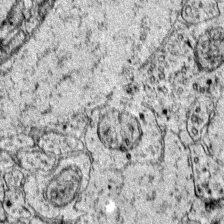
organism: Mouse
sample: Primary visual cortex